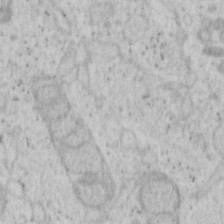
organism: Human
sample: HeLa cells